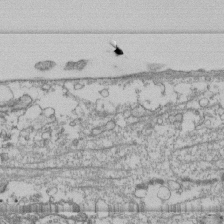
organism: Human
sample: Fibroblast cells